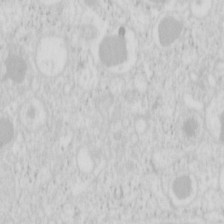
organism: Mouse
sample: Pancreas